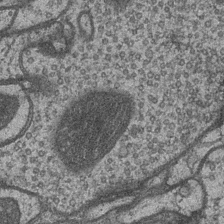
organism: Drosophila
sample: Optic medulla